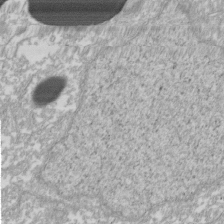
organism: Xenopus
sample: Cilia; centrioles in frog embryo cells